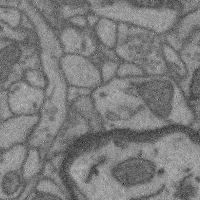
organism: Mouse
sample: Cerebral cortex